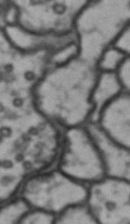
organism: Drosophila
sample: Brain